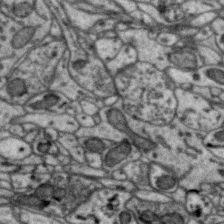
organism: Zebra finch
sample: Brain